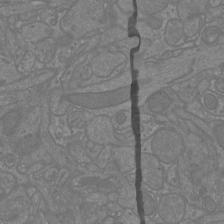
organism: Mouse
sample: Cortical neurons